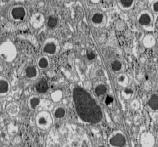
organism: C57BL Mouse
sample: Pancreatic islet